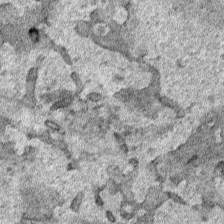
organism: Human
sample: Mitochondria in HCT116 cells